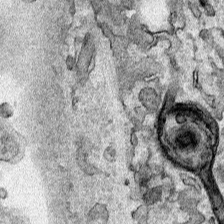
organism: Human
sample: Mitochondria in HCT116 cells